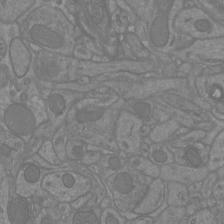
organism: Mouse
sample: Cortical neurons